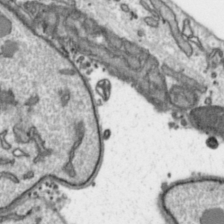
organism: Toxoplasma gondii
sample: Parasites in a vacuole inside a host cell